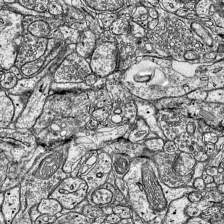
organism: Mouse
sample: Visual Cortex